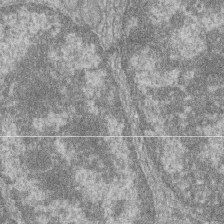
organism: Zebrafish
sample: Cilia; retinal pigment epithelium